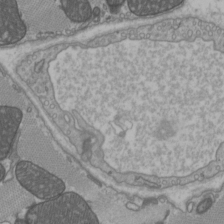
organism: C57BL Mouse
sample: Heart